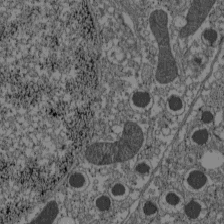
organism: C57BL Mouse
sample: Pancreatic islet